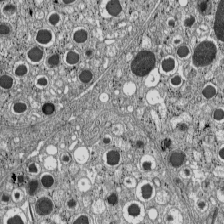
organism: C57BL Mouse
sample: Pancreatic islet